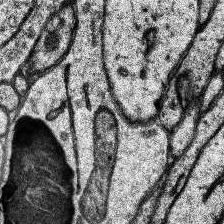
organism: Human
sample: Temporal Lobe